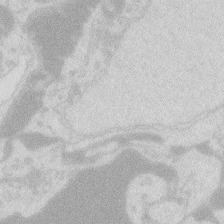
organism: Zebrafish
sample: Macrophage